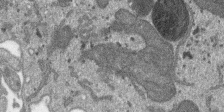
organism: Human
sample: Lung epithelial cells infected with SARS-CoV-2